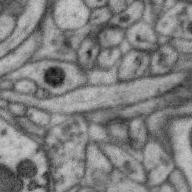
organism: Zebra finch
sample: Brain